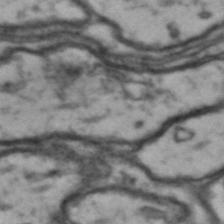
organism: Drosophila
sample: Brain